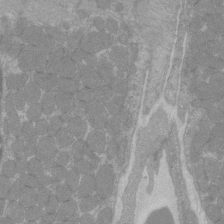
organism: C57BL Mouse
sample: Tibialis anterior muscle cell